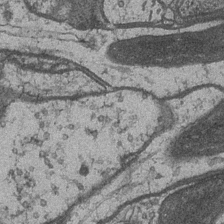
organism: Drosophila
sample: Optic medulla